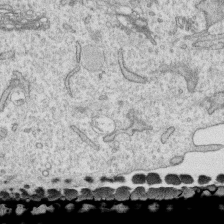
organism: Human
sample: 1205lu cells